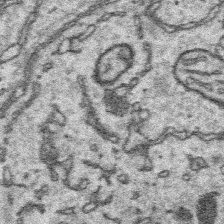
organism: Platynereis dumerilii